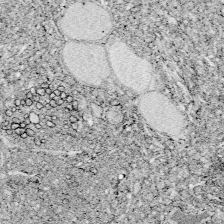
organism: Zebrafish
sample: Whole-Brain